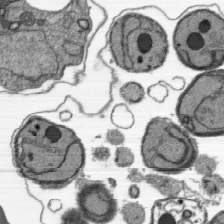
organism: Plasmodium falciparum